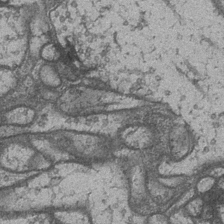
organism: Drosophila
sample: Optic medulla